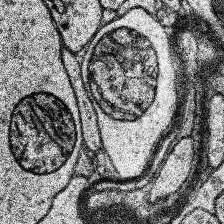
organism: Human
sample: Temporal Lobe